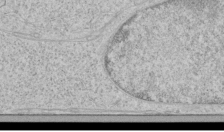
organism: Human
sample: Mitochondria in HCT116 cells